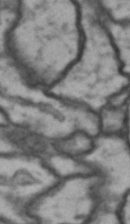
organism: Drosophila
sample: Brain